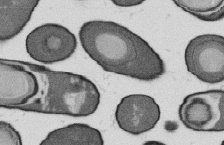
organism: B. subtilis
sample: Bacterial spore